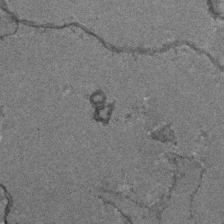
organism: Zebrafish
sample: Zebrafish embryo